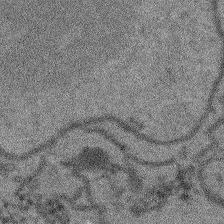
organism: Arabidopsis thaliana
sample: Root tip